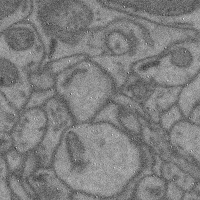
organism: Mouse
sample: Cerebral cortex